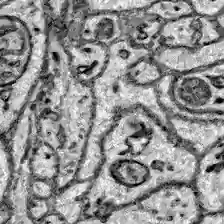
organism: Zebrafish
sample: Brain